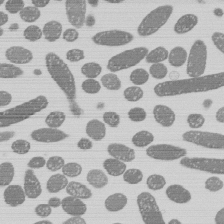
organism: E. coli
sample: Bacterial nucleoid